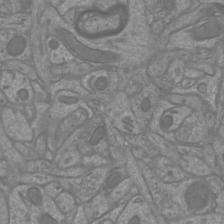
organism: Mouse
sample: Cortical neurons